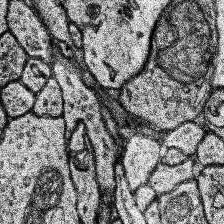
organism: Human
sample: Temporal Lobe